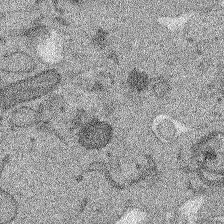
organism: Human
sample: HeLa cells